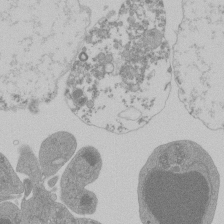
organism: Mouse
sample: Activated Pmel transgenic CD8+ T Cells